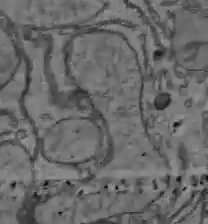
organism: C57BL Mouse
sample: Liver